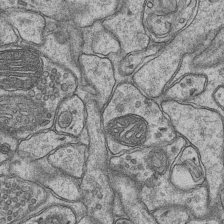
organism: Mouse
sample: CA1 Hippocampus